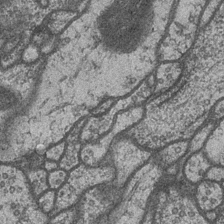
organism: Drosophila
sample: Optic medulla